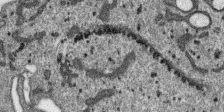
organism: Human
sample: Lung epithelial cells infected with SARS-CoV-2